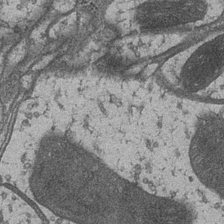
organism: Drosophila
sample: Optic medulla